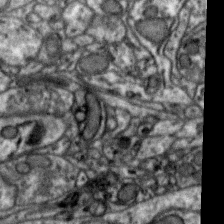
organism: Zebra finch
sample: Brain